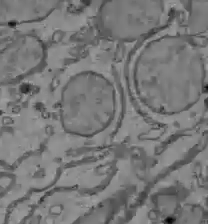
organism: C57BL Mouse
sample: Liver